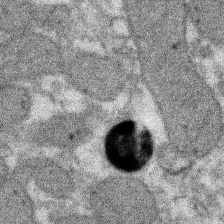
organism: Xenopus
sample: Cilia; centrioles in frog embryo cells